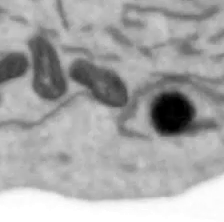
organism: Human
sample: SH-SY5Y cells